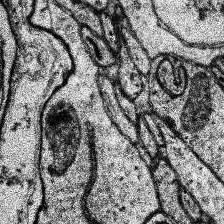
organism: Human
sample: Temporal Lobe